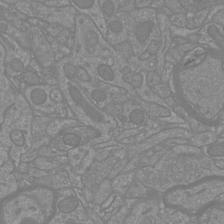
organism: Mouse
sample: Cortical neurons